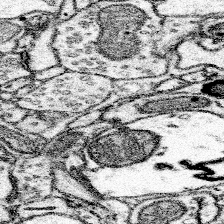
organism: Mouse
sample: Somatosensory cortex neuropil